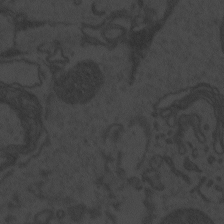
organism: Zebrafish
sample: Macrophage infected with Toxoplasma gondii